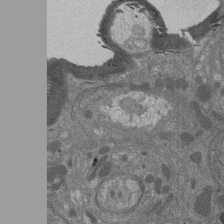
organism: Drosophila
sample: Antenna